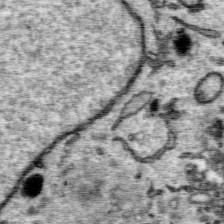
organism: Human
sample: HeLa cells